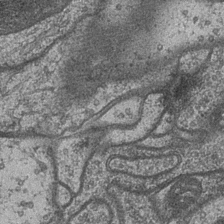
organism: Drosophila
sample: Optic medulla